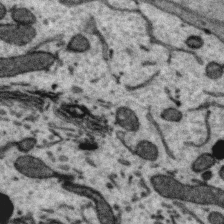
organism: Zebra finch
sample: Brain